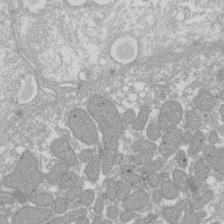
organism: Xenopus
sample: Cilia; centrioles in frog embryo cells